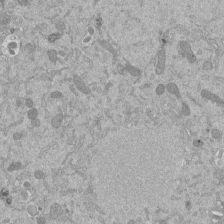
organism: Mouse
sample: ED-1 cell nuclei; centrioles